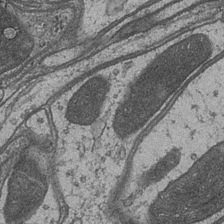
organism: Drosophila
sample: Optic medulla